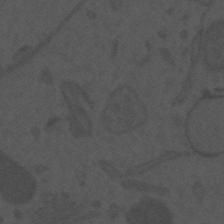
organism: Mouse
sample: Suprachiasmatic nucleus